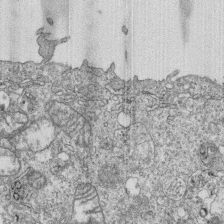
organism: Human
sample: HeLa cell HIV synapse